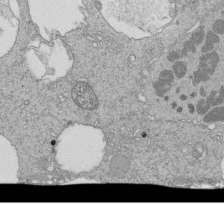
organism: Tetrahymena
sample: Cilia in tetrahymena